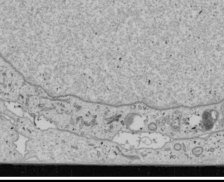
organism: Human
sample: Mitochondria in U2OS cells